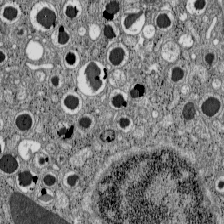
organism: C57BL Mouse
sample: Pancreatic islet